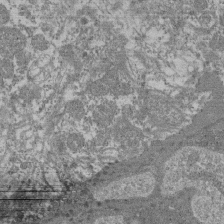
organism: Mouse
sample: Glomerulus